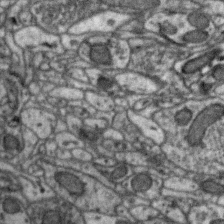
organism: Zebra finch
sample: Brain